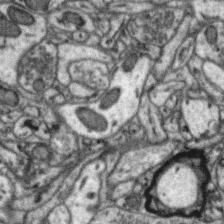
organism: Zebra finch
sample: Brain